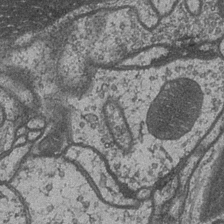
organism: Drosophila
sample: Optic medulla